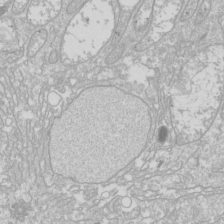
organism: Drosophila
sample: Cell division; meiosis; drosophila spermatocytes